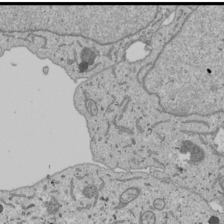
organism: Human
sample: Mitochondria in U2OS cells